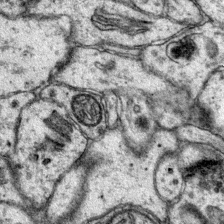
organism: Mouse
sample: Primary visual cortex